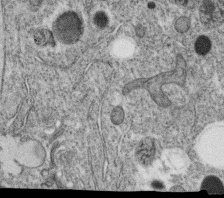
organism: C. elegans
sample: C. elegans oocyte; sperm cells